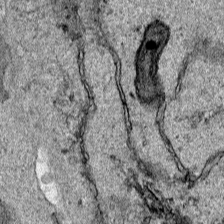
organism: Human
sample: Mitochondria in HCT116 cells